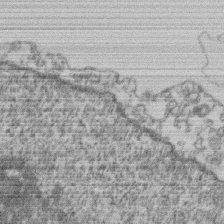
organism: Mouse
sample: T cell stromal cell synapse